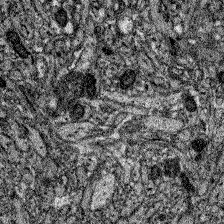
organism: Zebrafish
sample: Larval olfactory bulb